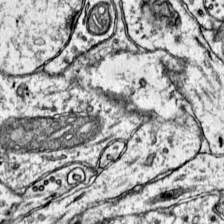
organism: Mouse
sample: Primary visual cortex